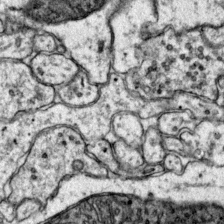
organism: Mouse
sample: Primary visual cortex